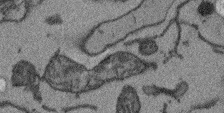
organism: Arabidopsis thaliana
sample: Root tip